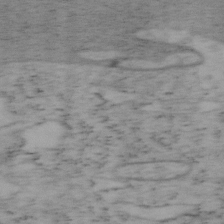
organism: Mouse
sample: OT-I killer T cells with ID8 ovarian cancer cells